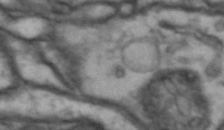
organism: Drosophila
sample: Brain